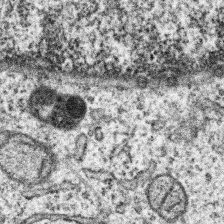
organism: Human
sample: HeLa cells